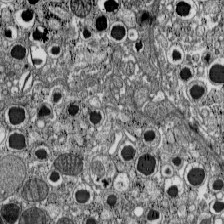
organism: C57BL Mouse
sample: Pancreatic islet